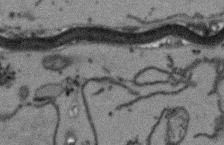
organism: Arabidopsis thaliana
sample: Root tip